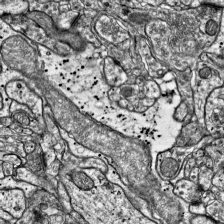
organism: Mouse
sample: Visual Cortex